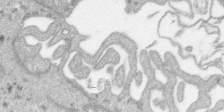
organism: Human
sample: Lung epithelial cells infected with SARS-CoV-2